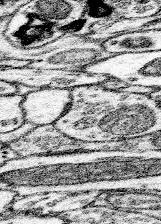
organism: Mouse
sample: Somatosensory cortex neuropil